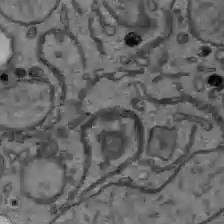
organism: C57BL Mouse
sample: Liver